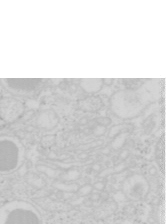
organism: Mouse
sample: Pancreas